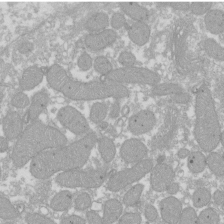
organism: Xenopus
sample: Cilia; centrioles in frog embryo cells